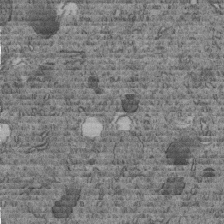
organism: C. elegans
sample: C. elegans embryo early stage